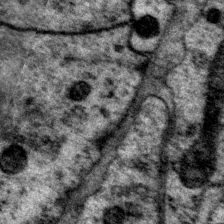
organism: P. pacificus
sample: Pharynx